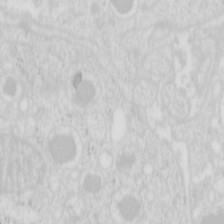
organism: Mouse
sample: Pancreas